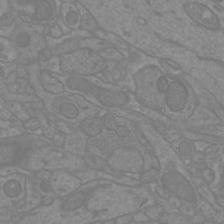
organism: Mouse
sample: Cortical neurons